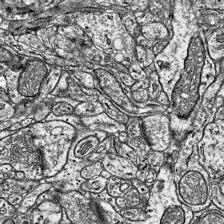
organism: Mouse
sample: Visual Cortex